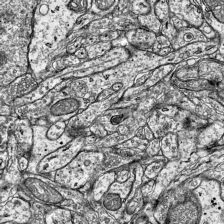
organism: Mouse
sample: Visual Cortex